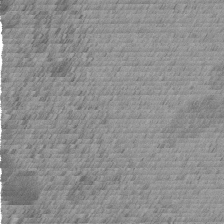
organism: C. elegans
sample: C. elegans embryo early stage